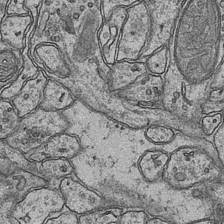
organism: Mouse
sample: CA1 Hippocampus